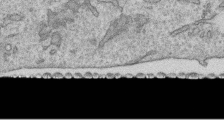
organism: Human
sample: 1205lu cells